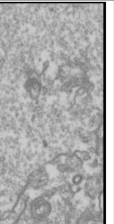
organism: Drosophila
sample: Cell division; meiosis; drosophila spermatocytes